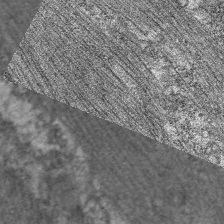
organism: C. elegans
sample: Pharynx